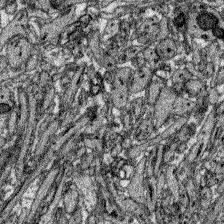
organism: Zebrafish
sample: Larval olfactory bulb